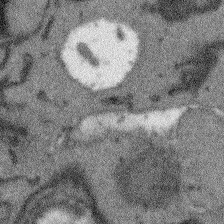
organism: Arabidopsis thaliana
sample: Root tip